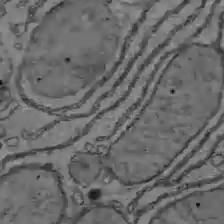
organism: C57BL Mouse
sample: Liver